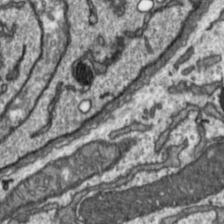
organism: Toxoplasma gondii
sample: Parasites in a vacuole inside a host cell